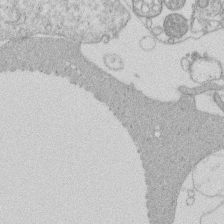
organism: Human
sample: Macrophage cells